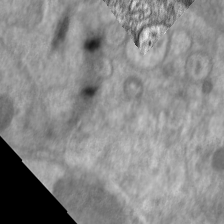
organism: C. elegans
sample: Pharynx